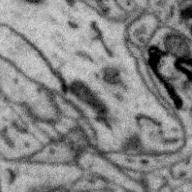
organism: Zebra finch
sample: Brain